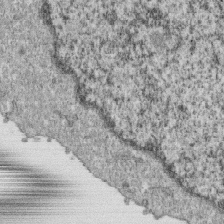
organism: African green monkey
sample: Vero E6 cells infected with SARS-CoV-2